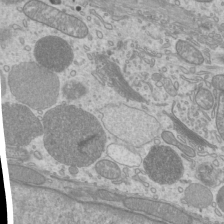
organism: Mouse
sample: Cilia; mouse epididymis